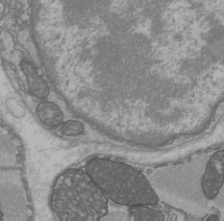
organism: C57BL Mouse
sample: Heart